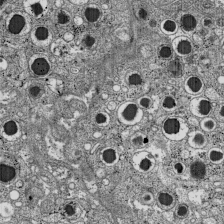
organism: C57BL Mouse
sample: Pancreatic islet